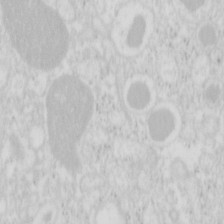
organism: Mouse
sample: Pancreas